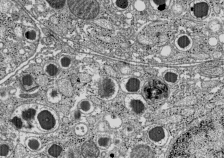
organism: C57BL Mouse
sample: Pancreatic islet